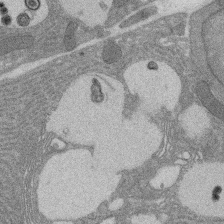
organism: Rat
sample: Salivary granule